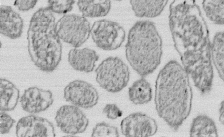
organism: E. coli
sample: Bacterial nucleoid